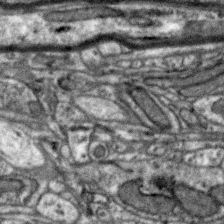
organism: Zebra finch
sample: Brain